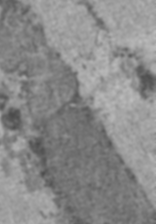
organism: C57BL Mouse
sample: Heart